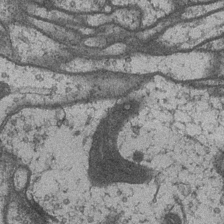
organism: Drosophila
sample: Optic medulla